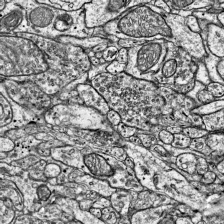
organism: Mouse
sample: Visual Cortex